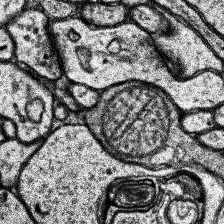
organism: Human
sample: Temporal Lobe